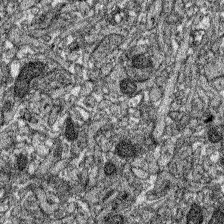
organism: Zebrafish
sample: Larval olfactory bulb